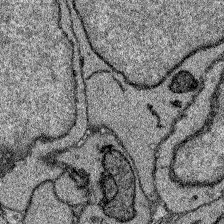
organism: Zebrafish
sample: Larval olfactory bulb